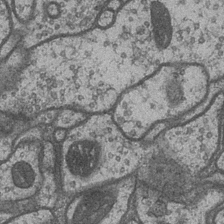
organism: Drosophila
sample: Optic medulla